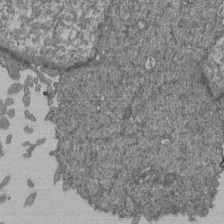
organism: Human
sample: Retinal organoid Rod and Cone cells